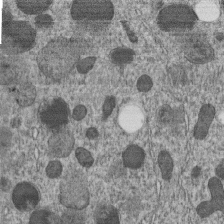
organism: C. elegans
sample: C. elegans embryo early stage